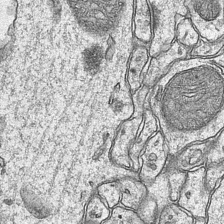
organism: Mouse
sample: CA1 Hippocampus